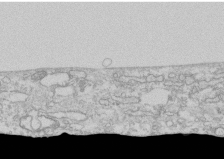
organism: Human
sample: CRL-1474